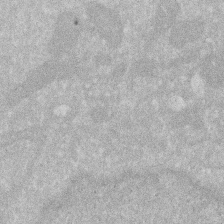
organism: Human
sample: HIV infected U937 cells